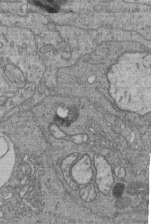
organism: Human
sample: Retinal organoid Rod and Cone cells